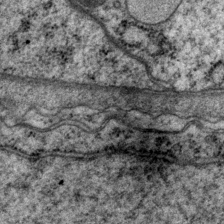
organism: P. pacificus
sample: Pharynx